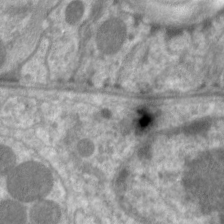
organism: C. elegans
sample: Pharynx